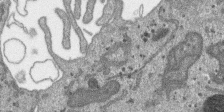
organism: Human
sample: Lung epithelial cells infected with SARS-CoV-2